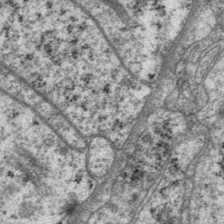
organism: P. pacificus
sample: Pharynx